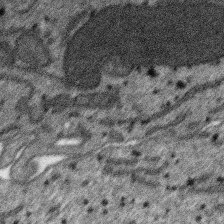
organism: Human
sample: Lung epithelial cells infected with SARS-CoV-2